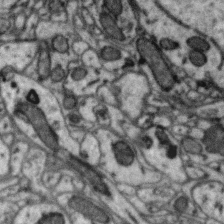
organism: Zebra finch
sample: Brain